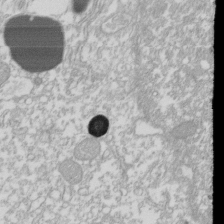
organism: Xenopus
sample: Cilia; centrioles in frog embryo cells